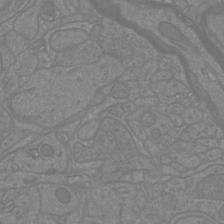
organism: Mouse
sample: Cortical neurons